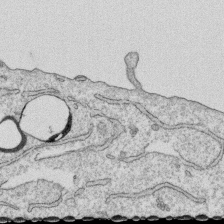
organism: Human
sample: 1205lu cells